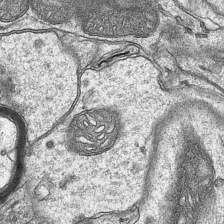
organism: Mouse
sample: CA1 Hippocampus